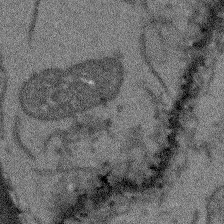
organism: Arabidopsis thaliana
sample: Root tip